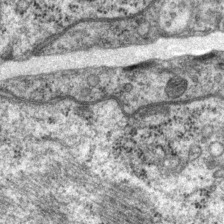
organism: P. pacificus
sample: Pharynx